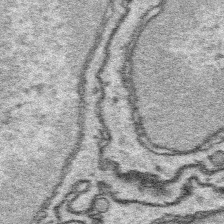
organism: Platynereis dumerilii